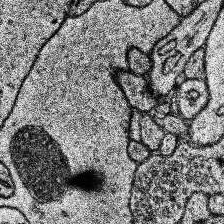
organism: Human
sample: Temporal Lobe